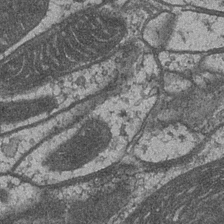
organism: Drosophila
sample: Optic medulla